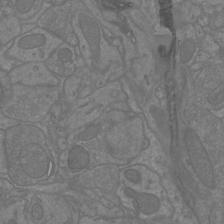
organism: Mouse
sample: Cortical neurons